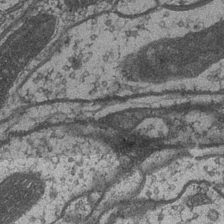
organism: Drosophila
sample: Optic medulla